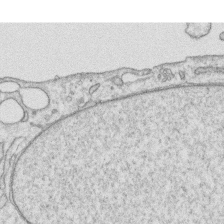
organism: Human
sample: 1205lu cells